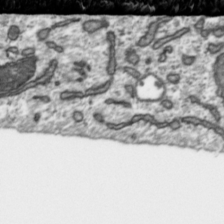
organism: Toxoplasma gondii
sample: Parasites in a vacuole inside a host cell